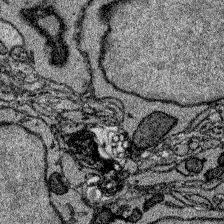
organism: Zebrafish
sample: Larval olfactory bulb